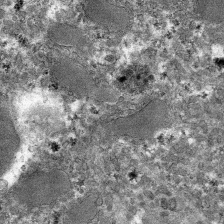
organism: Mouse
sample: Mouse hepatocytes